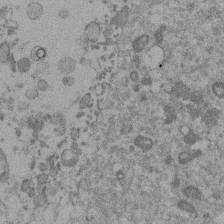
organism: Mouse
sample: Dividing mouse embryo 1 cell stage